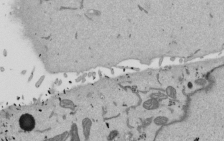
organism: Mouse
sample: ED-1 cell nuclei; centrioles